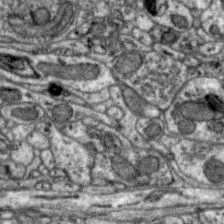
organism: Zebra finch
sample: Brain